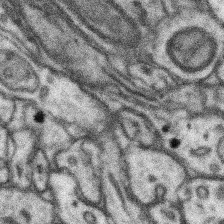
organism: Mouse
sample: Somatosensory cortex neuropil